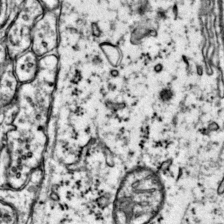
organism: Mouse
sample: Primary visual cortex